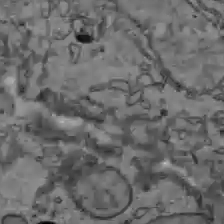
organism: C57BL Mouse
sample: Liver